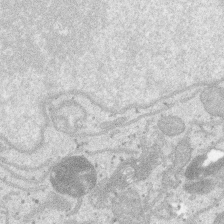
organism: Human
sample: Lung epithelial cells infected with SARS-CoV-2